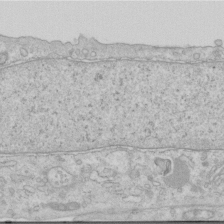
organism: Human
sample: Centriole in RPE cells